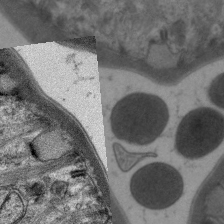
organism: C. elegans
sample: Pharynx